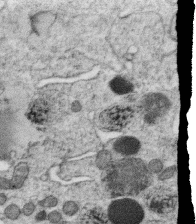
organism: C. elegans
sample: C. elegans oocyte; sperm cells